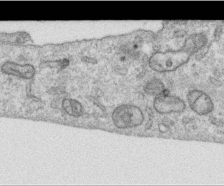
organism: Human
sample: Centriole in RPE cells